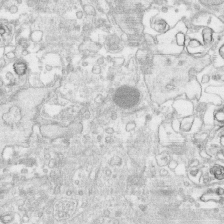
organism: Human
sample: CRL-1474